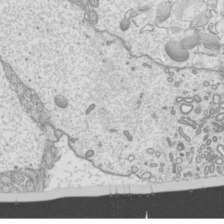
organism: Mouse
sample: Cilia; mouse epididymis